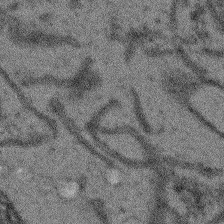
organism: Arabidopsis thaliana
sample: Root tip